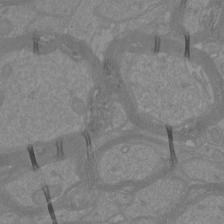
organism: Mouse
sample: Cortical neurons